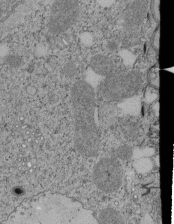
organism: Tetrahymena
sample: Cilia in tetrahymena